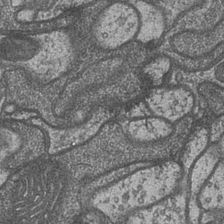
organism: Drosophila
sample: Optic medulla